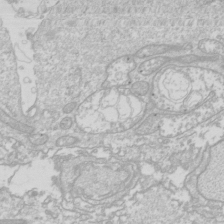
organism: Drosophila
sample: Cell division; meiosis; drosophila spermatocytes